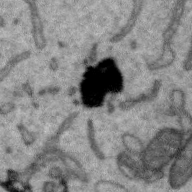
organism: Zebra finch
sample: Brain